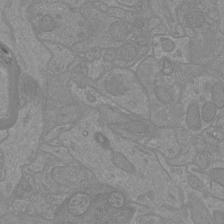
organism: Mouse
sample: Cortical neurons